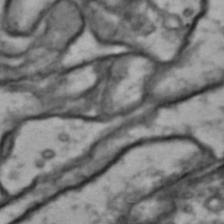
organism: Drosophila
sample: Brain